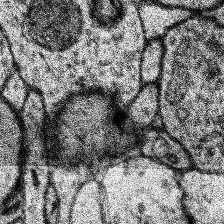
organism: Human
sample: Temporal Lobe